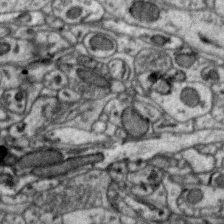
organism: Zebra finch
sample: Brain